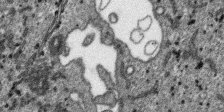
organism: Human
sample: Lung epithelial cells infected with SARS-CoV-2